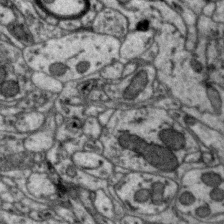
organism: Zebra finch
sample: Brain